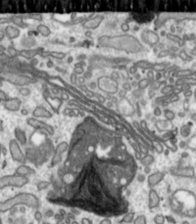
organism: Toxoplasma gondii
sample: Parasites in a vacuole inside a host cell